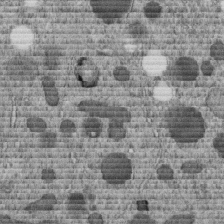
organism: C. elegans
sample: C. elegans embryo early stage